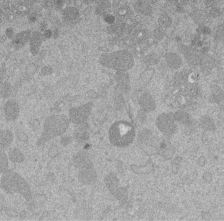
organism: Mouse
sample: Dividing mouse embryo 1 cell stage